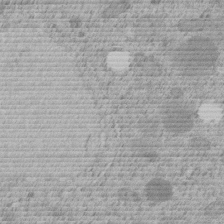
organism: C. elegans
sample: C. elegans embryo early stage